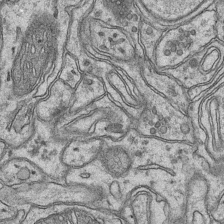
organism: Mouse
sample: CA1 Hippocampus